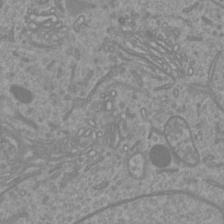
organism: Mouse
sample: Cortical neurons